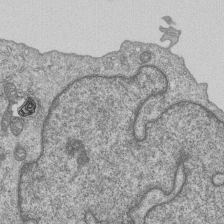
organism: Human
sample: MDA-MB-231 cells